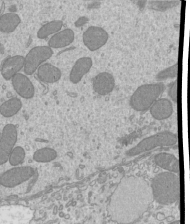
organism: Mouse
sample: Cilia; mouse epididymis